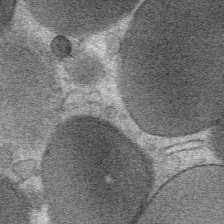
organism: Mouse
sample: Mouse Salivary gland